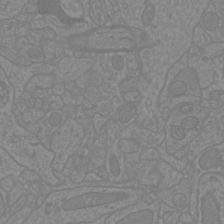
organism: Mouse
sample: Cortical neurons